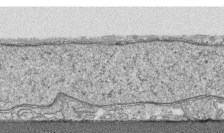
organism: Human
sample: CRL-1474